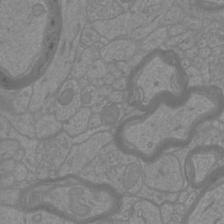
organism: Mouse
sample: Cortical neurons